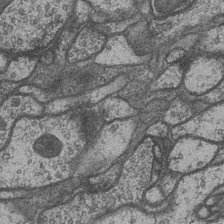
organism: Drosophila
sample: Optic medulla